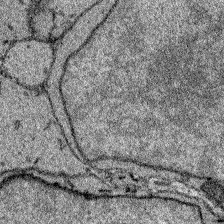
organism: Zebrafish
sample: Larval olfactory bulb